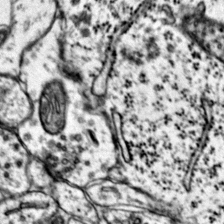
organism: Mouse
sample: Primary visual cortex